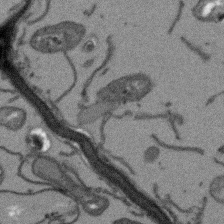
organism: Arabidopsis thaliana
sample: Root tip